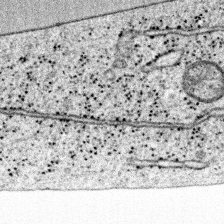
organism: Human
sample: HeLa cells